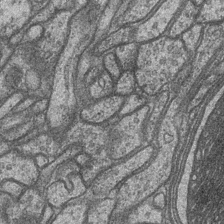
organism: Drosophila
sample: Optic medulla